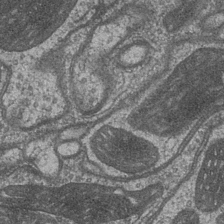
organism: Drosophila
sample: Optic medulla